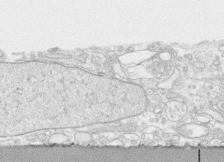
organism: Human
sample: CRL-1474